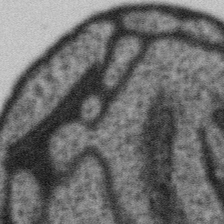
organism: Gemmata obscuriglobus